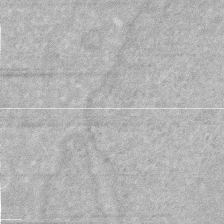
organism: Human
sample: HIV infected U937 cells